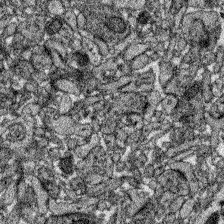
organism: Zebrafish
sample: Larval olfactory bulb